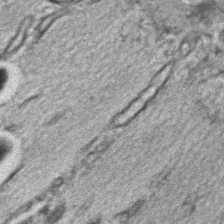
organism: C. elegans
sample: C. elegans embryo